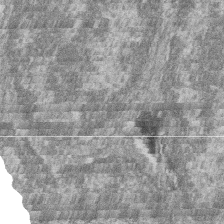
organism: Zebrafish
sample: Cilia; retinal pigment epithelium